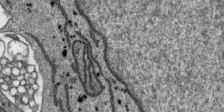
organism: Human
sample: Lung epithelial cells, uninfected (mock) control